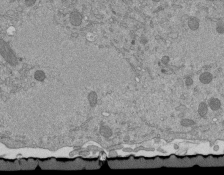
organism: Mouse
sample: ED-1 cell nuclei; centrioles